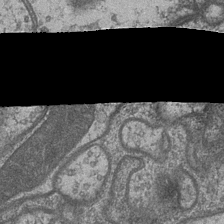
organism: Drosophila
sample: Optic medulla